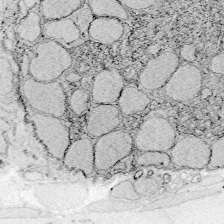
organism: Zebrafish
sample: Whole-Brain